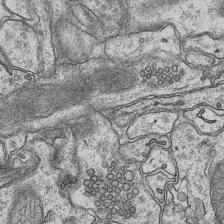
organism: Mouse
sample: CA1 Hippocampus